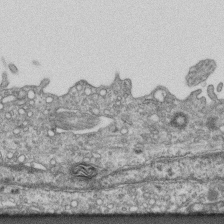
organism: Mouse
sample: Centriole in ependymal cells